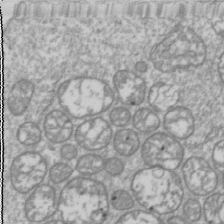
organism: Drosophila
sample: Cell division; meiosis; drosophila spermatocytes